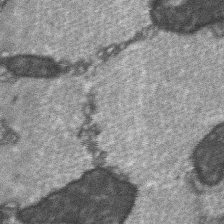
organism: C57BL Mouse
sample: Soleus